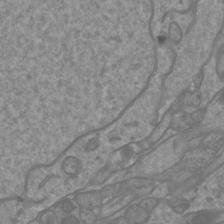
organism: Mouse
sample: Cortical neurons